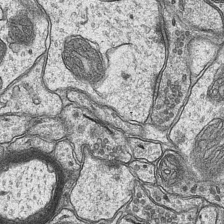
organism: Mouse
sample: CA1 Hippocampus